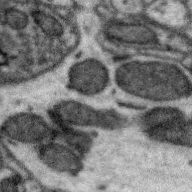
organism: Zebra finch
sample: Brain